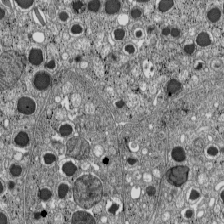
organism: C57BL Mouse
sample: Pancreatic islet